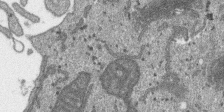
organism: Human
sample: Lung epithelial cells infected with SARS-CoV-2